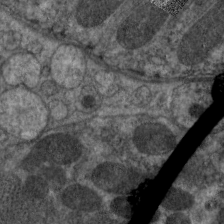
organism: C. elegans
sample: Pharynx